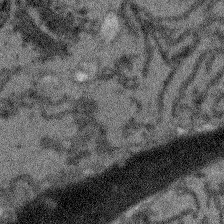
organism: Arabidopsis thaliana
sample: Root tip